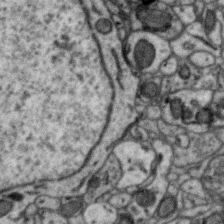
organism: Zebra finch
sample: Brain